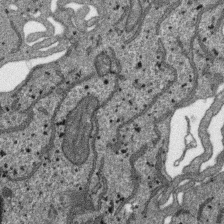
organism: Human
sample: Lung epithelial cells infected with SARS-CoV-2